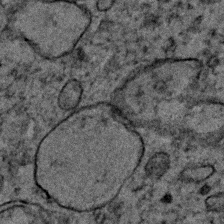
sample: Trachea